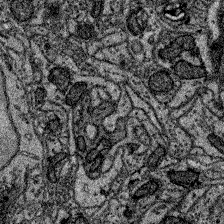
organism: Zebrafish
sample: Larval olfactory bulb